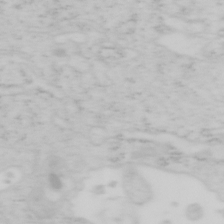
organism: Mouse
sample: OT-I killer T cells with ID8 ovarian cancer cells